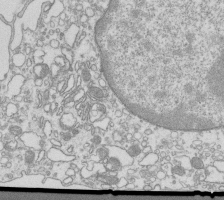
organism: Mouse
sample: Macrophages